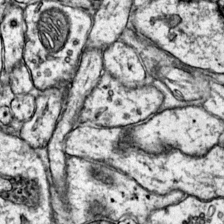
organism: Mouse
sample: Primary visual cortex